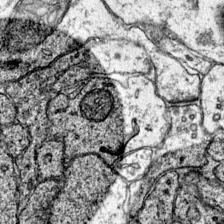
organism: Mouse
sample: Primary visual cortex